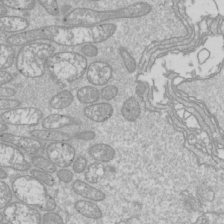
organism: Drosophila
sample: Cell division; meiosis; drosophila spermatocytes